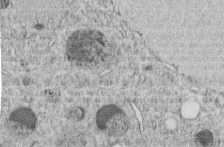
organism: C. elegans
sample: C. elegans embryo early stage